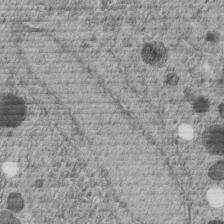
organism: C. elegans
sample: C. elegans embryo early stage